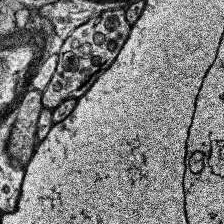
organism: Human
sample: Temporal Lobe